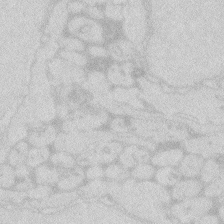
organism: Zebrafish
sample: Macrophage